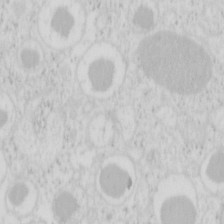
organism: Mouse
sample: Pancreas